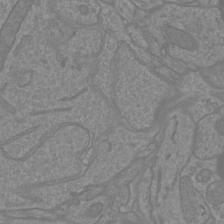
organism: Mouse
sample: Cortical neurons